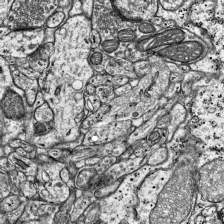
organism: Mouse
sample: Visual Cortex